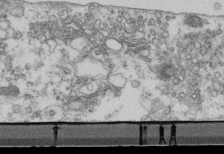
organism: Mouse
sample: Cilia; retinal pigment epithelium